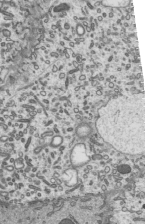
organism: Mouse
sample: Mouse epididymis efferent ductule cilia